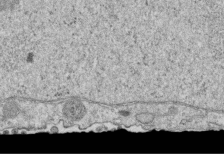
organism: Human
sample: HeLa cell HIV synapse